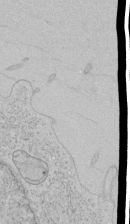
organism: Human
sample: Mitochondria in HCT116 cells